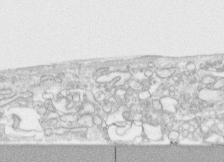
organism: Human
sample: CRL-1474